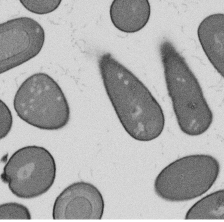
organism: B. subtilis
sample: Bacterial spore